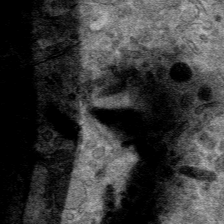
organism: Mouse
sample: Mouse hepatocytes